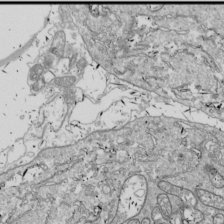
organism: Drosophila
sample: Cell division; meiosis; drosophila spermatocytes